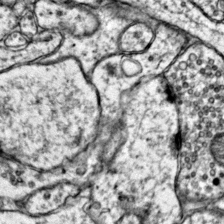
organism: Mouse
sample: Primary visual cortex